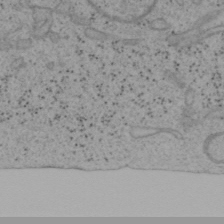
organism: Human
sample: HeLa cells